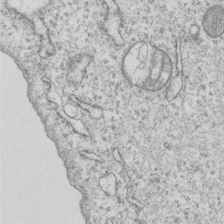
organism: Human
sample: MDA-MB-231 cells